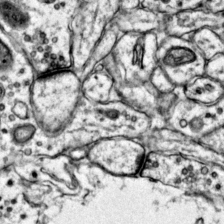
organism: Mouse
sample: Primary visual cortex